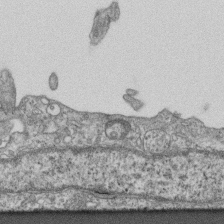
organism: Mouse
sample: Centriole in ependymal cells